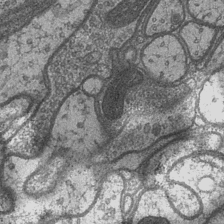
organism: Drosophila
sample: Optic medulla